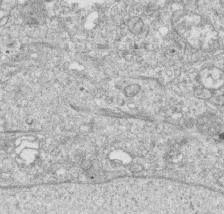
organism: Human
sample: HeLa cell HIV synapse